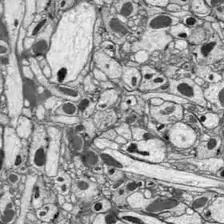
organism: Drosophila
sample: Optic lobe